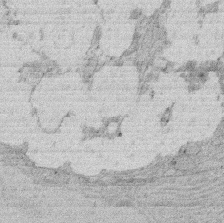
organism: Rat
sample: Salivary granule